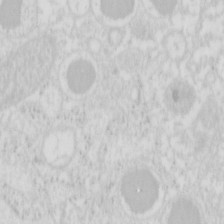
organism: Mouse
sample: Pancreas